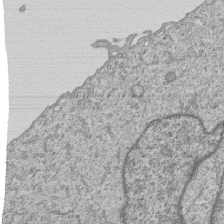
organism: Human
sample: MDA-MB-231 cells